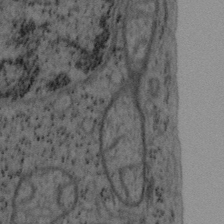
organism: Human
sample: HeLa cells